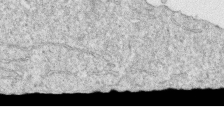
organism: Human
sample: HeLa cell HIV synapse